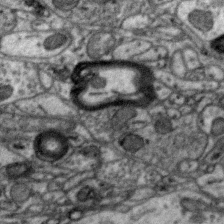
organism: Zebra finch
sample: Brain